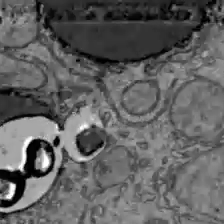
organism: C57BL Mouse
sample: Liver